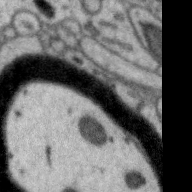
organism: Zebra finch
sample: Brain